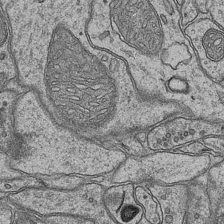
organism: Mouse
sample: CA1 Hippocampus